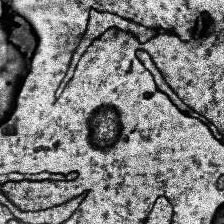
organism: Human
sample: Temporal Lobe